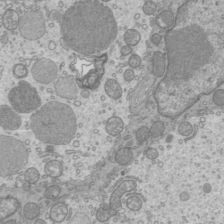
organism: Mouse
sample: Cilia; mouse epididymis